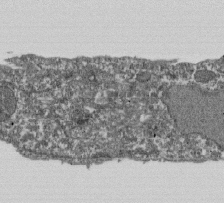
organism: Dictyostelium discoideum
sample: Dictyostelium multivesicular bodies